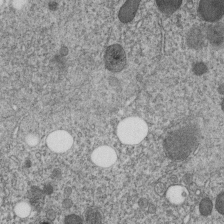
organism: C. elegans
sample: C. elegans embryo early stage